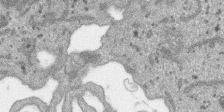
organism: Human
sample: Lung epithelial cells infected with SARS-CoV-2